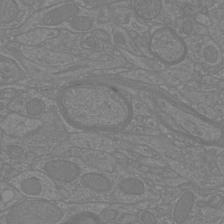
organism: Mouse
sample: Cortical neurons